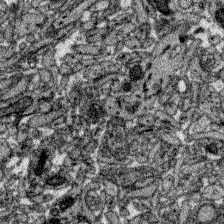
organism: Zebrafish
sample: Larval olfactory bulb